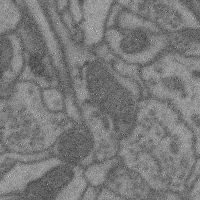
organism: Mouse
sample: Cerebral cortex